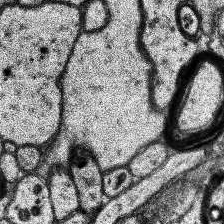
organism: Human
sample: Temporal Lobe